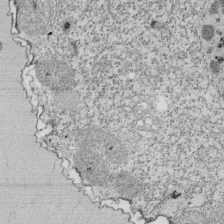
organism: Tetrahymena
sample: Cilia in tetrahymena